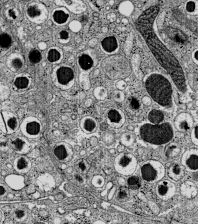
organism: C57BL Mouse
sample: Pancreatic islet